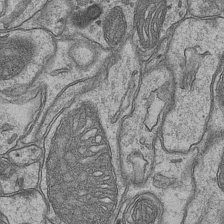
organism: Mouse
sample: CA1 Hippocampus